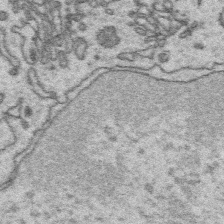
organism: Platynereis dumerilii